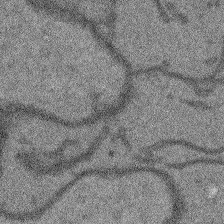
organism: Arabidopsis thaliana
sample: Root tip